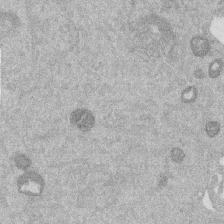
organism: Mouse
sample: Dividing mouse embryo 1 cell stage